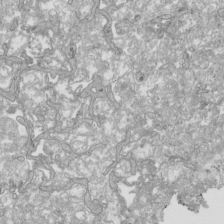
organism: Human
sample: Mitochondria in HCT116 cells